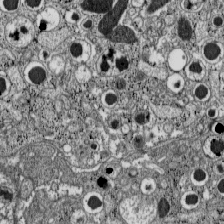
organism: C57BL Mouse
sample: Pancreatic islet